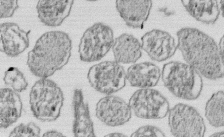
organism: E. coli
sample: Bacterial nucleoid